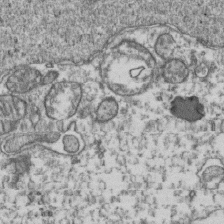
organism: Human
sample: Activated Jurkat CD4+ T cells